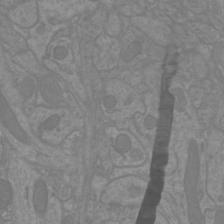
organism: Mouse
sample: Cortical neurons